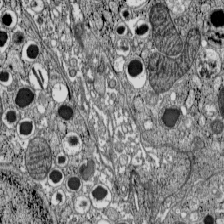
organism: C57BL Mouse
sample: Pancreatic islet